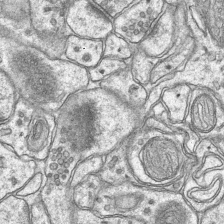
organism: Mouse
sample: CA1 Hippocampus